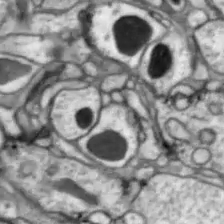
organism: Drosophila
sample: Optic lobe